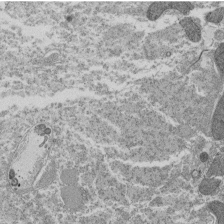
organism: Tetrahymena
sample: Cilia in tetrahymena